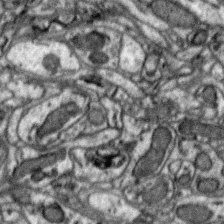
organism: Zebra finch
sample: Brain